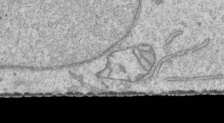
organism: Human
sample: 1205lu cells